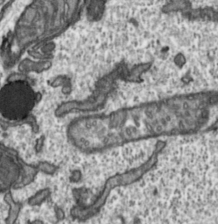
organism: Toxoplasma gondii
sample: Parasites in a vacuole inside a host cell